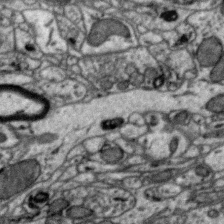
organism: Zebra finch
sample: Brain